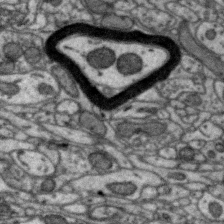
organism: Zebra finch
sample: Brain